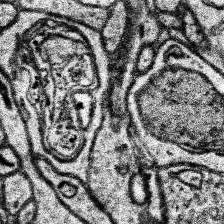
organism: Human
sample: Temporal Lobe